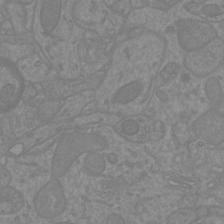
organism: Mouse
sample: Cortical neurons